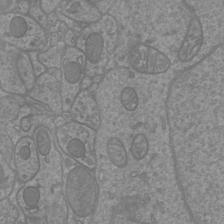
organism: Mouse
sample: Cortical neurons